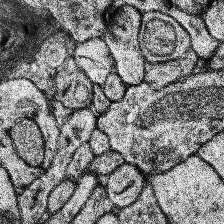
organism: Human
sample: Temporal Lobe